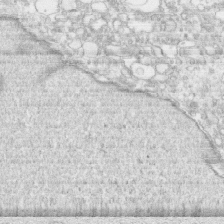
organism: Human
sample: CRL-1474